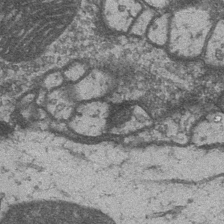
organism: Drosophila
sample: Optic medulla